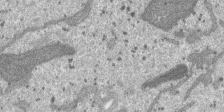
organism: Human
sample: Lung epithelial cells infected with SARS-CoV-2